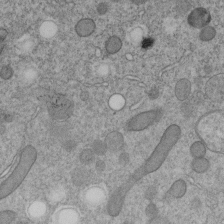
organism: C. elegans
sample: C. elegans embryo early stage